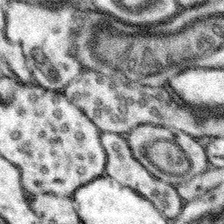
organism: Mouse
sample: Somatosensory cortex neuropil